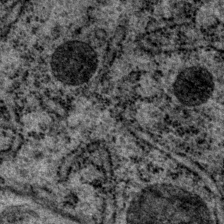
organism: P. pacificus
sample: Pharynx